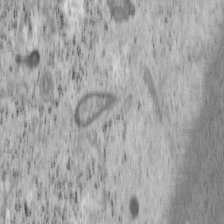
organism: Human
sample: HeLa cells